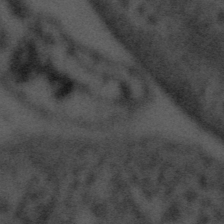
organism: Tuwongella immobilis